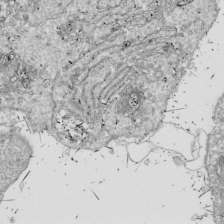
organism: Drosophila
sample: Cell division; meiosis; drosophila spermatocytes